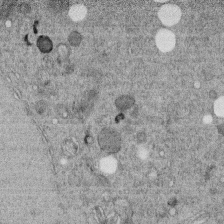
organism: C. elegans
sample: C. elegans embryo early stage